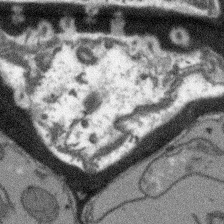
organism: Arabidopsis thaliana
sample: Root tip